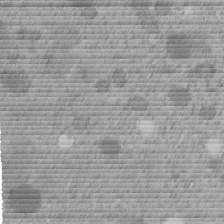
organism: C. elegans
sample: C. elegans embryo early stage